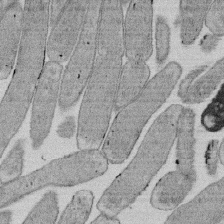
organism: E. coli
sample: Bacterial nucleoid